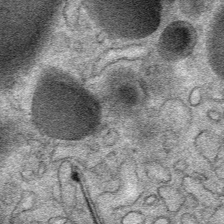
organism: Mouse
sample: Mouse Salivary gland